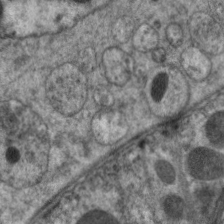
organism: C. elegans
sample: Pharynx